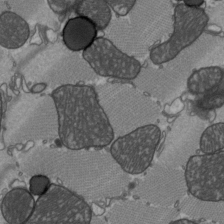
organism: C57BL Mouse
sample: Heart